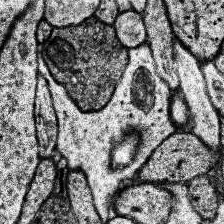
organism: Human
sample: Temporal Lobe